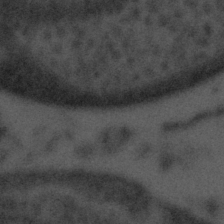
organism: Tuwongella immobilis